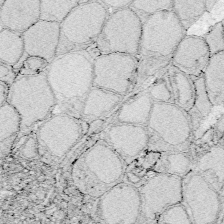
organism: Zebrafish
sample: Whole-Brain